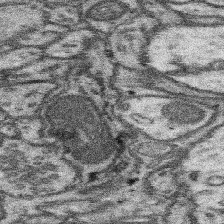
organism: Mouse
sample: Somatosensory cortex neuropil